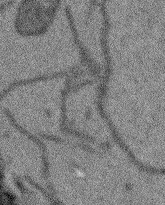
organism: Arabidopsis thaliana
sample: Root tip